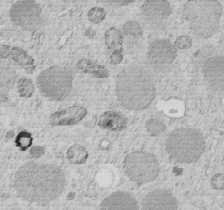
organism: C. elegans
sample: C. elegans embryo early stage